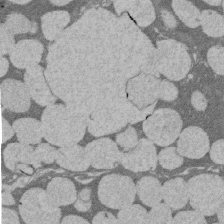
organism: Rat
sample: Salivary granule